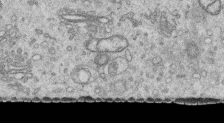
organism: Human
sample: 1205lu cells